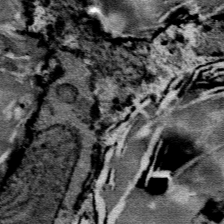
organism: Mouse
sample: Mouse Salivary gland